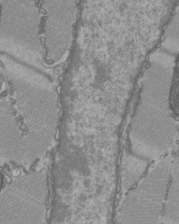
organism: C57BL Mouse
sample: Heart